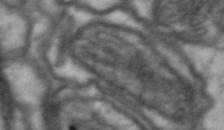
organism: Drosophila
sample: Brain